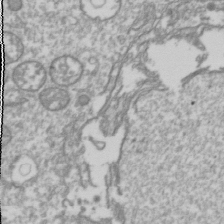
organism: Drosophila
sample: Cell division; meiosis; drosophila spermatocytes